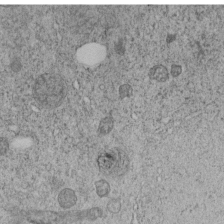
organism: C. elegans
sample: C. elegans embryo early stage